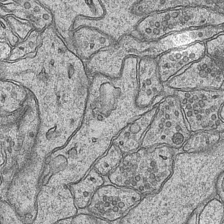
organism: Mouse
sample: CA1 Hippocampus